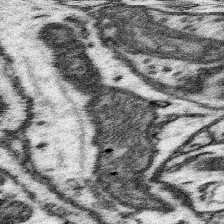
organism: Mouse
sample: Somatosensory cortex neuropil